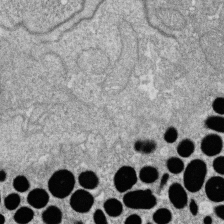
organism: Zebrafish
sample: Cilia; retinal pigment epithelium